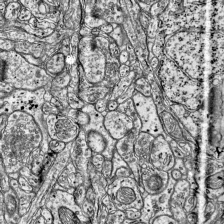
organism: Mouse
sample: Visual Cortex